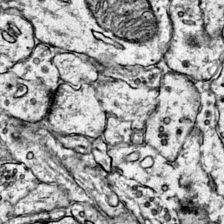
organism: Mouse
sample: Primary visual cortex